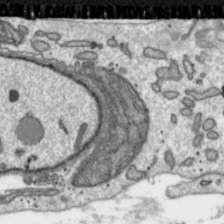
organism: Toxoplasma gondii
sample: Parasites in a vacuole inside a host cell